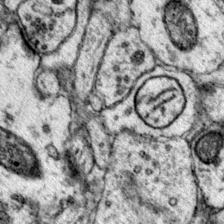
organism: Mouse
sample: Primary visual cortex